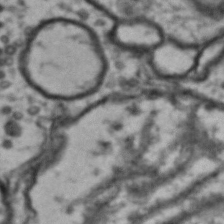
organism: Drosophila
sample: Brain